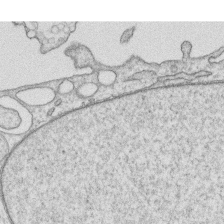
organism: Human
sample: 1205lu cells